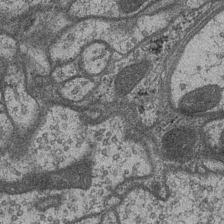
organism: Drosophila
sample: Optic medulla